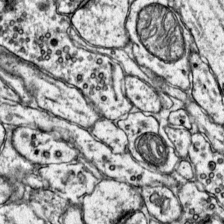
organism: Mouse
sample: Primary visual cortex